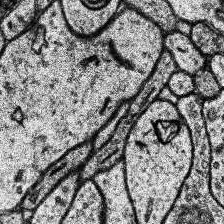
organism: Human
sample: Temporal Lobe